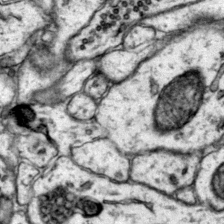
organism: Mouse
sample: Primary visual cortex